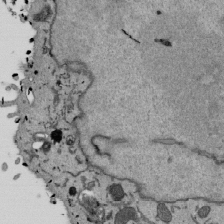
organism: Mouse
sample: ED-1 cell nuclei; centrioles